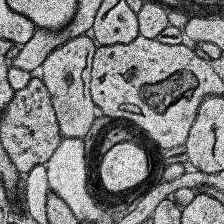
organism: Human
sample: Temporal Lobe